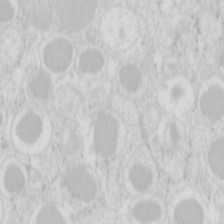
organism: Mouse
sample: Pancreas